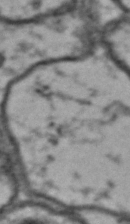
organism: Drosophila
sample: Brain